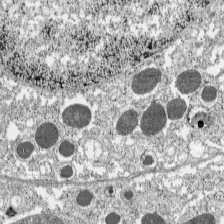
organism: C57BL Mouse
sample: Pancreatic islet